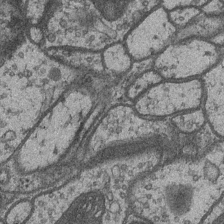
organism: Drosophila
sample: Optic medulla